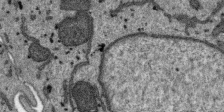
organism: Human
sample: Lung epithelial cells, uninfected (mock) control